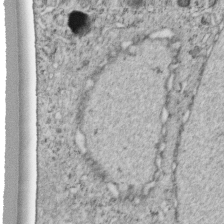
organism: C. elegans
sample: C. elegans embryo early stage